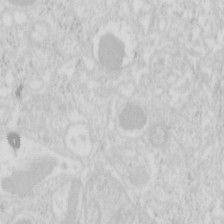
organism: Mouse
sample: Pancreas